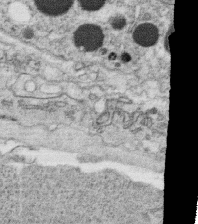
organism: C. elegans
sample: C. elegans oocyte; sperm cells